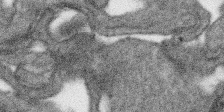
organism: Human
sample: Lung epithelial cells infected with SARS-CoV-2